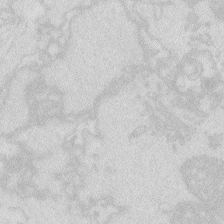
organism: Zebrafish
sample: Macrophage